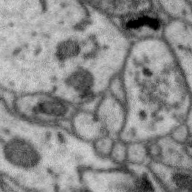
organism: Zebra finch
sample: Brain